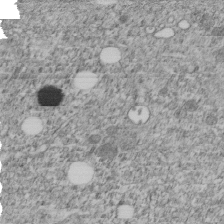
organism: C. elegans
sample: C. elegans embryo early stage